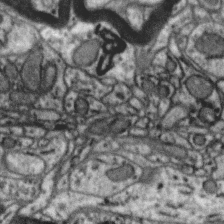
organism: Zebra finch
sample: Brain